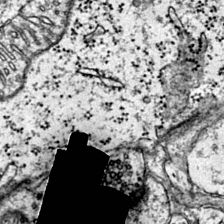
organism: Mouse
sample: Primary visual cortex